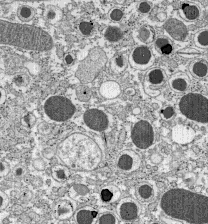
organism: C57BL Mouse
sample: Pancreatic islet